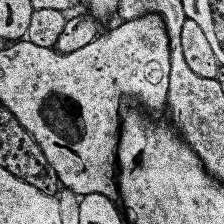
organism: Human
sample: Temporal Lobe